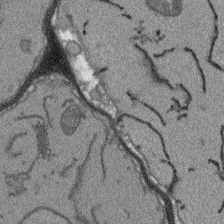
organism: Arabidopsis thaliana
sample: Root tip